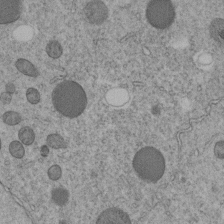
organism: C. elegans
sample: C. elegans embryo early stage